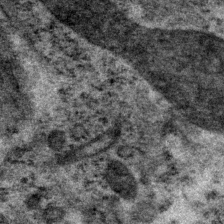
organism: P. pacificus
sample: Pharynx